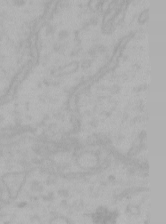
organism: Mouse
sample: Choroid plexus